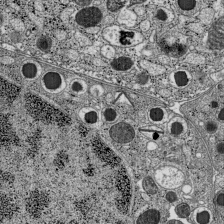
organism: C57BL Mouse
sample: Pancreatic islet